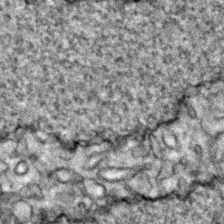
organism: Zebrafish